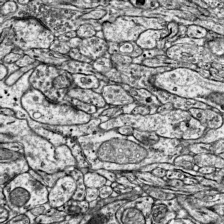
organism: Mouse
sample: Visual Cortex